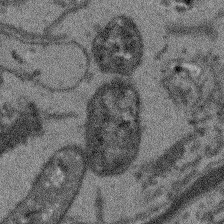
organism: Arabidopsis thaliana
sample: Root tip